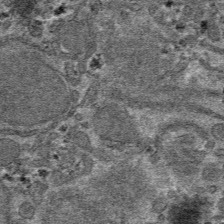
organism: Mouse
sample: Mouse hepatocytes